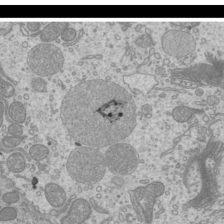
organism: Mouse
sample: Cilia; mouse epididymis